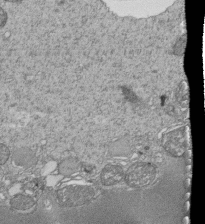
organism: Tetrahymena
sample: Cilia in tetrahymena